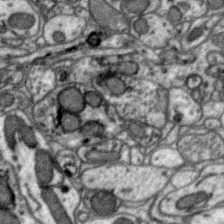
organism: Zebra finch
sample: Brain